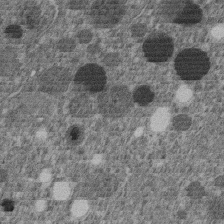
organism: C. elegans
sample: C. elegans embryo early stage